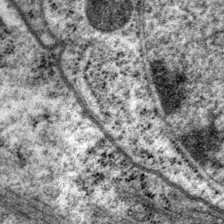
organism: P. pacificus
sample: Pharynx